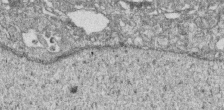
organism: Human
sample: HeLa cell HIV synapse